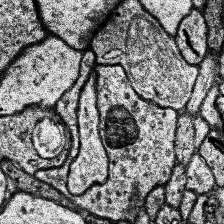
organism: Human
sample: Temporal Lobe